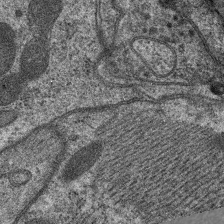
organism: C. elegans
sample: Pharynx